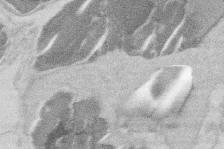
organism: Mouse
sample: T cell stromal cell synapse